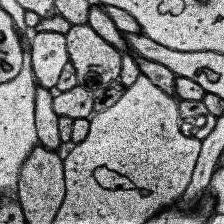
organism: Human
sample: Temporal Lobe